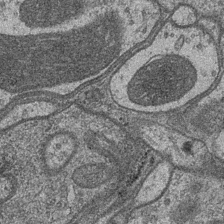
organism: Drosophila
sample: Optic medulla